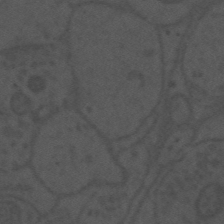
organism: Mouse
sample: Suprachiasmatic nucleus